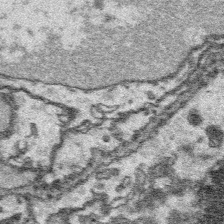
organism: Platynereis dumerilii